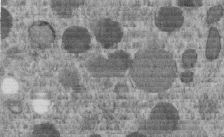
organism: C. elegans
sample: C. elegans embryo early stage